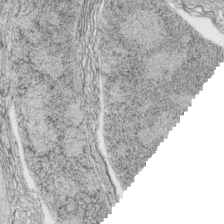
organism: Zebrafish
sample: synaptic ribbons in rod cells and cone cells